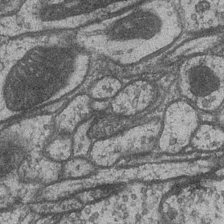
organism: Drosophila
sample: Optic medulla